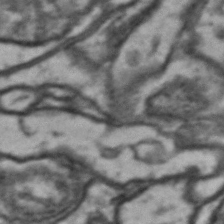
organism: Drosophila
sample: Brain